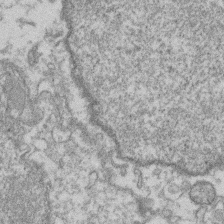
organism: Mouse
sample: T cell stromal cell synapse